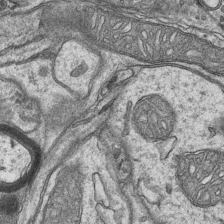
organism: Mouse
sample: CA1 Hippocampus